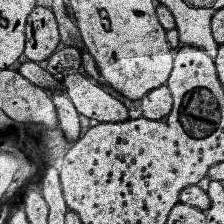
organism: Human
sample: Temporal Lobe